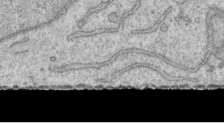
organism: Human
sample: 1205lu cells